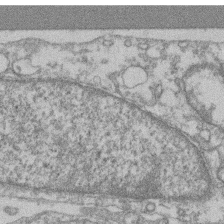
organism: Mouse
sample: T cell stromal cell synapse